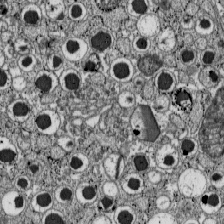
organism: C57BL Mouse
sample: Pancreatic islet